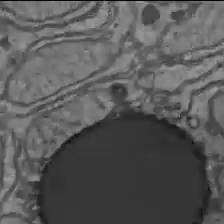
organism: C57BL Mouse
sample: Liver